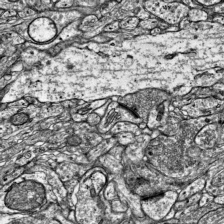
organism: Mouse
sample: Visual Cortex